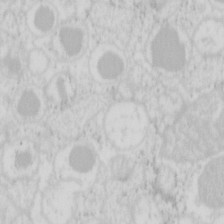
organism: Mouse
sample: Pancreas